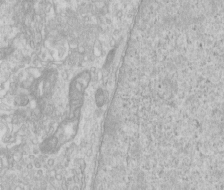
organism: Human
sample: Centriole in RPE cells